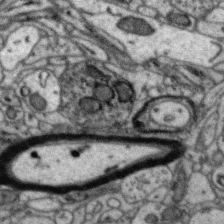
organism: Zebra finch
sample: Brain